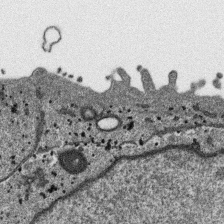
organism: Human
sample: Lung epithelial cells infected with SARS-CoV-2